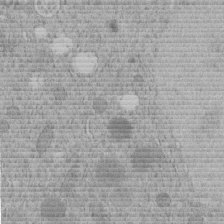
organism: C. elegans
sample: C. elegans embryo early stage